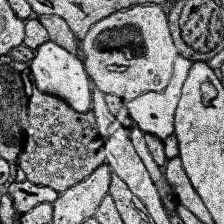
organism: Human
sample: Temporal Lobe